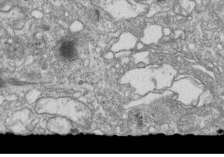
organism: Human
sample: HeLa cell HIV synapse